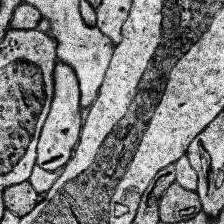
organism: Human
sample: Temporal Lobe